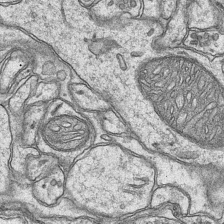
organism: Mouse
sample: CA1 Hippocampus